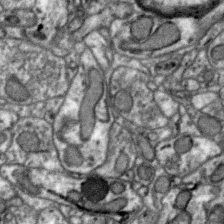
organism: Zebra finch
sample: Brain